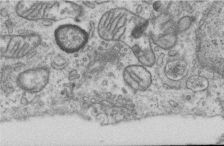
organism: Human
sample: Centriole in RPE cells